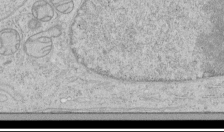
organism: Human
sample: Mitochondria in HCT116 cells